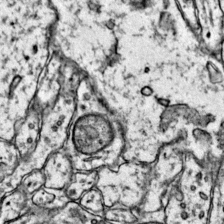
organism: Mouse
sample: Primary visual cortex